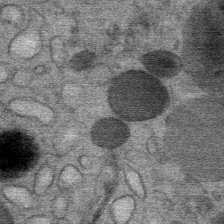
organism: Mouse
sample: Mouse Salivary gland